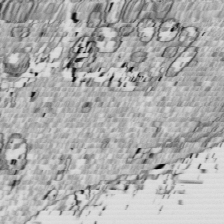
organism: Drosophila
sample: Cell division; meiosis; drosophila spermatocytes